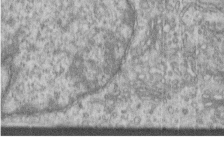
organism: Human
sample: Centriole in RPE cells